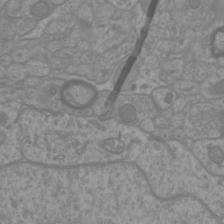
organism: Mouse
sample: Cortical neurons